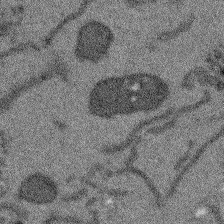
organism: Arabidopsis thaliana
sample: Root tip